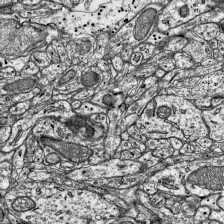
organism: Mouse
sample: Visual Cortex